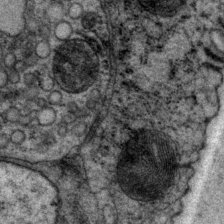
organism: P. pacificus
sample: Pharynx